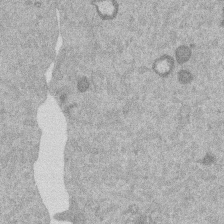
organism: Mouse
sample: Dividing mouse embryo 1 cell stage